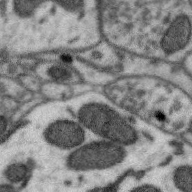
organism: Zebra finch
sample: Brain